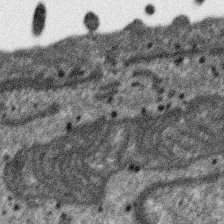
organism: Human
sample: Lung epithelial cells infected with SARS-CoV-2